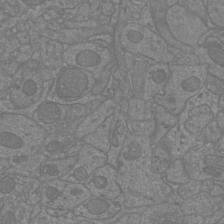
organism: Mouse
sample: Cortical neurons